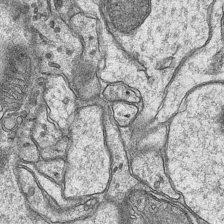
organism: Mouse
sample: CA1 Hippocampus